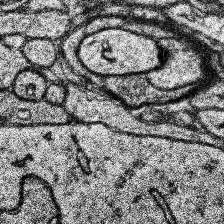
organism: Human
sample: Temporal Lobe